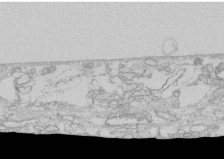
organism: Human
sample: CRL-1474